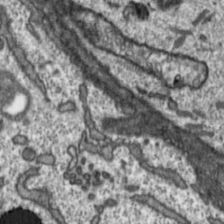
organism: Toxoplasma gondii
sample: Parasites in a vacuole inside a host cell